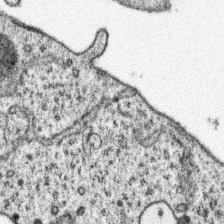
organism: Human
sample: HeLa cells